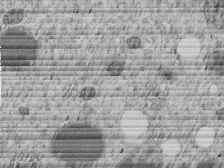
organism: C. elegans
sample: C. elegans embryo early stage